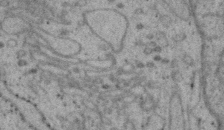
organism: Human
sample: HeLa cells